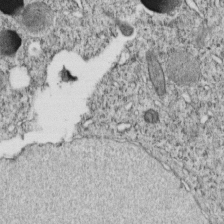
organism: C. elegans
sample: C. elegans embryo early stage